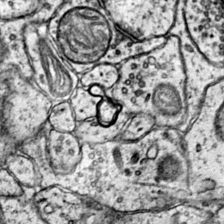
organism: Mouse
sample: Primary visual cortex